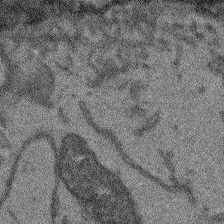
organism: Arabidopsis thaliana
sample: Root tip